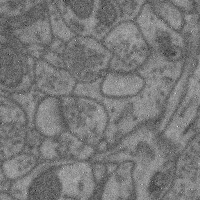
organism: Mouse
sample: Cerebral cortex